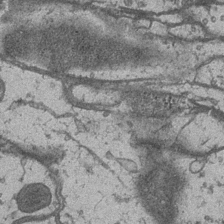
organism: Drosophila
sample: Optic medulla